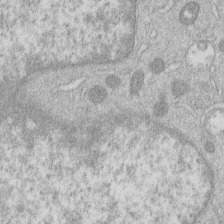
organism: Human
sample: Macrophage cells